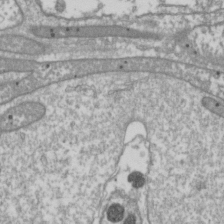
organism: Drosophila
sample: Cell division; meiosis; drosophila spermatocytes